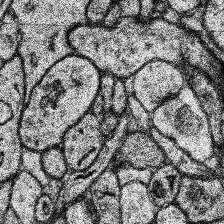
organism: Human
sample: Temporal Lobe